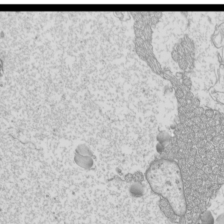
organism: Mouse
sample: Cilia; mouse epididymis